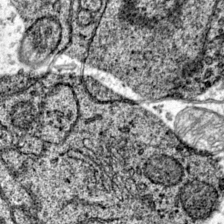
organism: Mouse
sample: Primary visual cortex